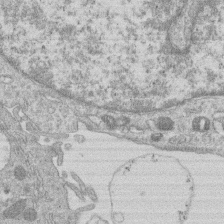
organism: Human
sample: Macrophage cells